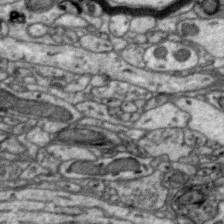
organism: Zebra finch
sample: Brain